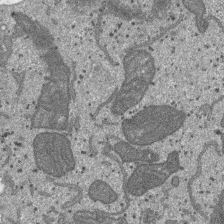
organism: Human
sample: Lung epithelial cells infected with SARS-CoV-2